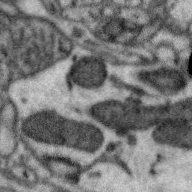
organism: Zebra finch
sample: Brain